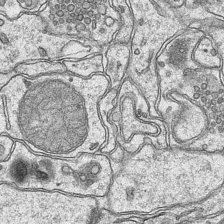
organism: Mouse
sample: CA1 Hippocampus